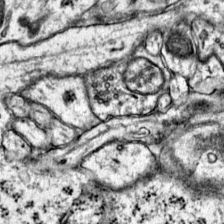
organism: Mouse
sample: Primary visual cortex